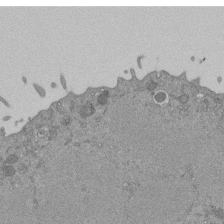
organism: Mouse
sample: ED-1 cell nuclei; centrioles